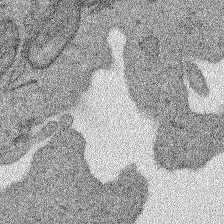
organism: Human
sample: HeLa cells